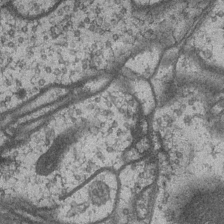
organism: Drosophila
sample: Optic medulla